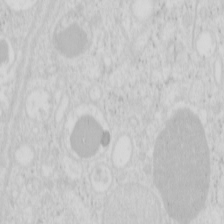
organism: Mouse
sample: Pancreas